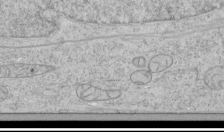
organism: Human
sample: Mitochondria in HCT116 cells